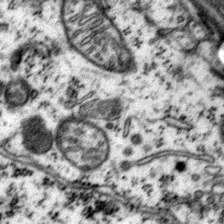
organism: Mouse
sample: Primary visual cortex